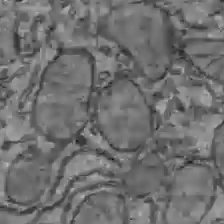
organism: C57BL Mouse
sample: Liver